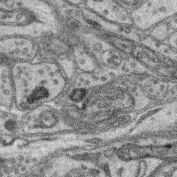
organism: Mouse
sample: Retina